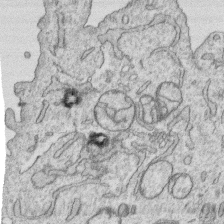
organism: Human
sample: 1205lu cells